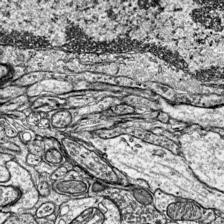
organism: Mouse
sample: Visual Cortex